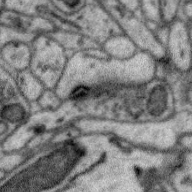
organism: Zebra finch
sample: Brain